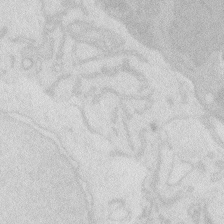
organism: Zebrafish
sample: Macrophage